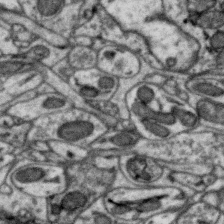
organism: Zebra finch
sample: Brain